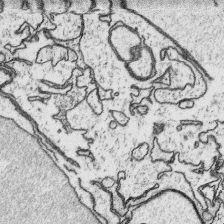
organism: Platynereis dumerilii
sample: Parapodia